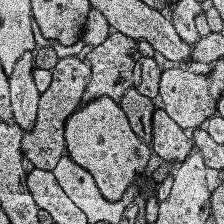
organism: Human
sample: Temporal Lobe